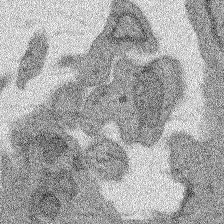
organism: Human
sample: HeLa cells